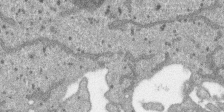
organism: Human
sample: Lung epithelial cells infected with SARS-CoV-2